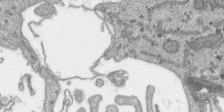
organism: Human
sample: Lung epithelial cells infected with SARS-CoV-2